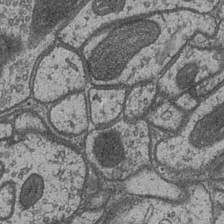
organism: Drosophila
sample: Optic medulla